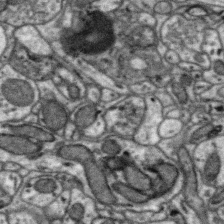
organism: Zebra finch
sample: Brain